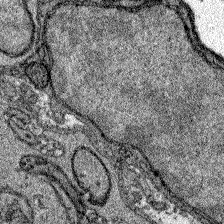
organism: Zebrafish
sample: Larval olfactory bulb